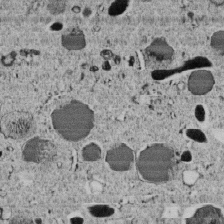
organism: C. elegans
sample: C. elegans embryo early stage